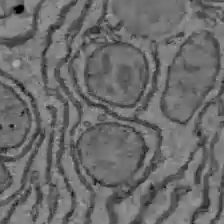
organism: C57BL Mouse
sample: Liver